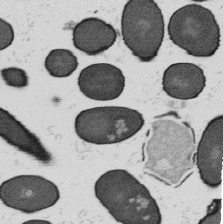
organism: B. subtilis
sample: Bacterial spore